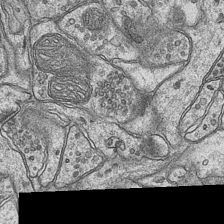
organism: Mouse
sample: CA1 Hippocampus